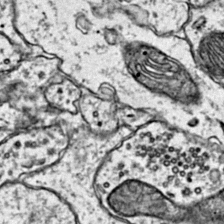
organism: Mouse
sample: Primary visual cortex